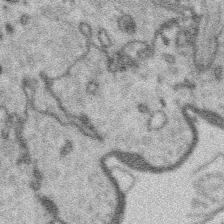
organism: Platynereis dumerilii